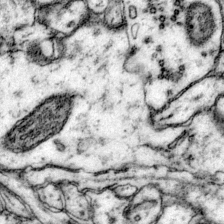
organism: Mouse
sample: Primary visual cortex